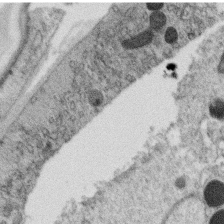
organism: C. elegans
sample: C. elegans oocyte; sperm cells